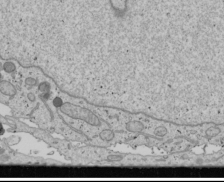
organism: Human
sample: Mitochondria in U2OS cells